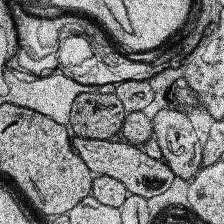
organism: Human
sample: Temporal Lobe